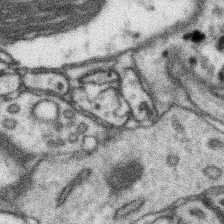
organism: Mouse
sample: Somatosensory cortex neuropil